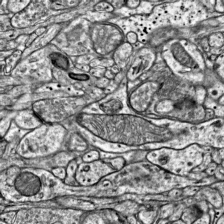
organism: Mouse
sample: Visual Cortex